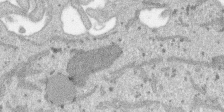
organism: Human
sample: Lung epithelial cells infected with SARS-CoV-2